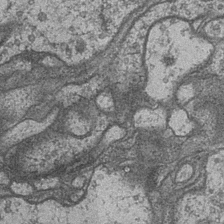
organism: Drosophila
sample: Optic medulla